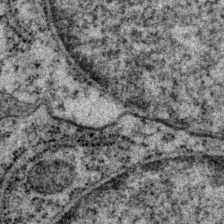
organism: P. pacificus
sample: Pharynx